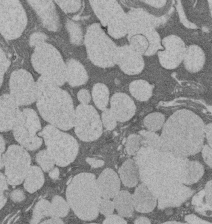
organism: Rat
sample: Salivary granule